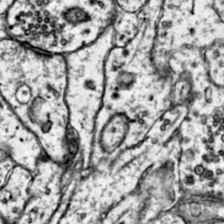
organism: Mouse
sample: Primary visual cortex